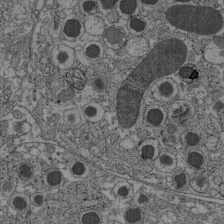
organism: C57BL Mouse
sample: Pancreatic islet